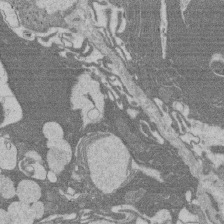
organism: Rat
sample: Salivary granule